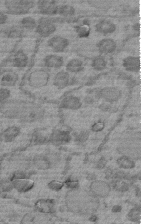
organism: C. elegans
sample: C. elegans embryo early stage